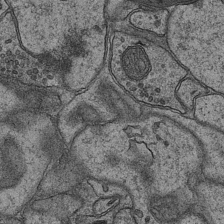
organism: Mouse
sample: CA1 Hippocampus